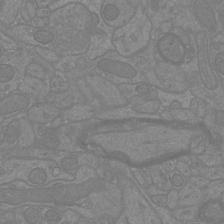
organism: Mouse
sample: Cortical neurons